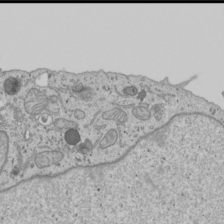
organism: Human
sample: Mitochondria in U2OS cells